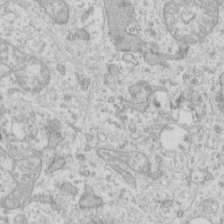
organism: Human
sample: Fibroblast cells